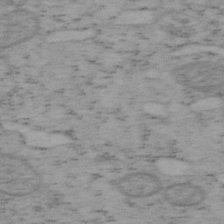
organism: Mouse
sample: OT-I killer T cells with ID8 ovarian cancer cells